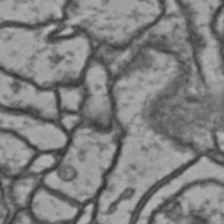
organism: Drosophila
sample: Brain